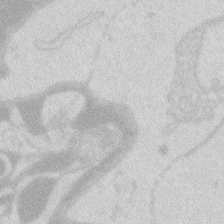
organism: Zebrafish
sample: Macrophage